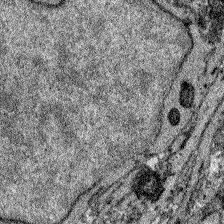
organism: Zebrafish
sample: Larval olfactory bulb